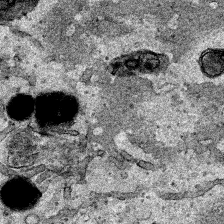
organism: Human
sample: Mitochondria in HCT116 cells